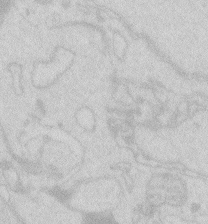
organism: Zebrafish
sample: Macrophage